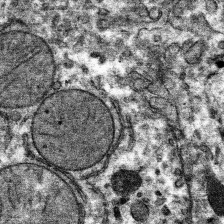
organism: Mouse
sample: Mouse hepatocytes